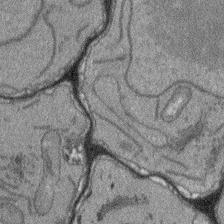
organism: Arabidopsis thaliana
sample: Root tip